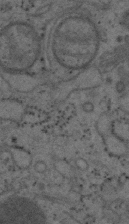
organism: Human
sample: HeLa cells